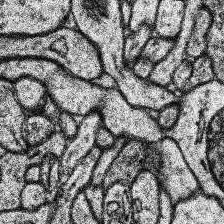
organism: Human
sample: Temporal Lobe